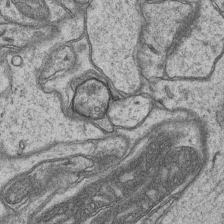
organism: Mouse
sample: CA1 Hippocampus